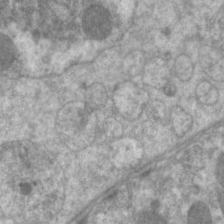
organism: C. elegans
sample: Pharynx